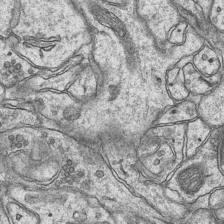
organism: Mouse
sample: CA1 Hippocampus